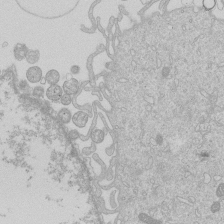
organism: Human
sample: Macrophage cells